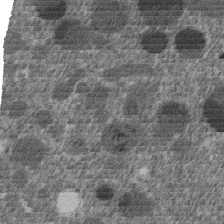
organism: C. elegans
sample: C. elegans embryo early stage